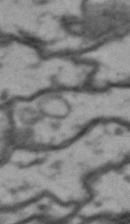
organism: Drosophila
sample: Brain